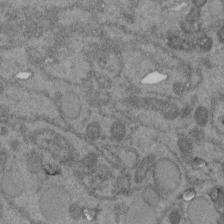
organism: C. elegans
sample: C. elegans embryo early stage